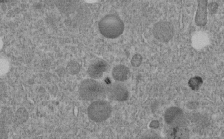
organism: C. elegans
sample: C. elegans embryo early stage